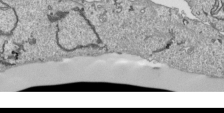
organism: Human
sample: Mitochondria in HCT116 cells